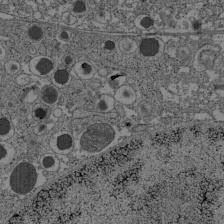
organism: C57BL Mouse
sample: Pancreatic islet